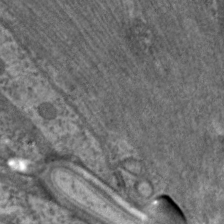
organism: C. elegans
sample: Pharynx